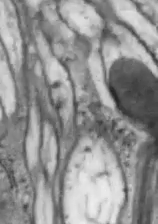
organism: Drosophila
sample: Optic lobe